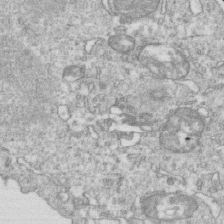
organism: Mouse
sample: Activated OT-1 CD8+ T cells